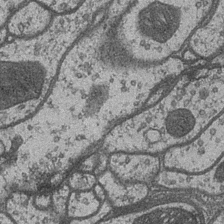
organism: Drosophila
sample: Optic medulla